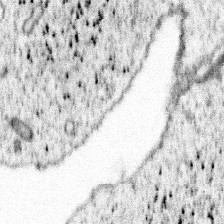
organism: Human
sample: HeLa cells